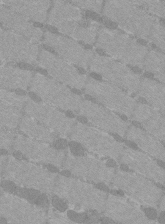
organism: C57BL Mouse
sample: Tibialis anterior muscle cell